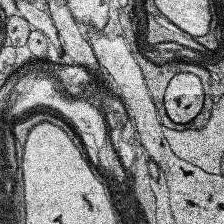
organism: Human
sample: Temporal Lobe